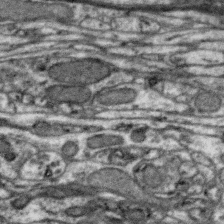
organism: Zebra finch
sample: Brain